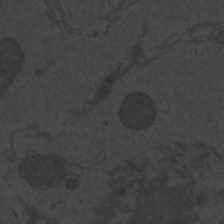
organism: Zebrafish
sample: Macrophage infected with Toxoplasma gondii